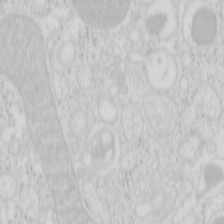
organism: Mouse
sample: Pancreas